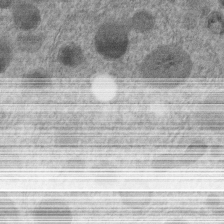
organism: C. elegans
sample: C. elegans embryo early stage